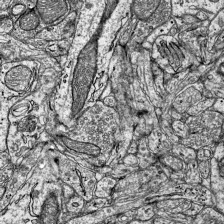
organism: Mouse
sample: Visual Cortex